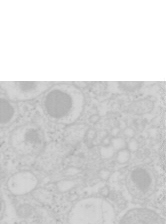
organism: Mouse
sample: Pancreas